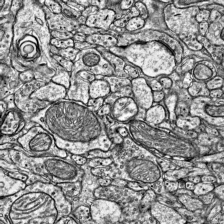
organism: Mouse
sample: Visual Cortex